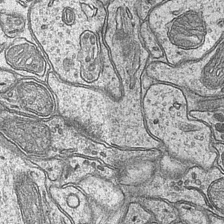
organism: Mouse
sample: CA1 Hippocampus